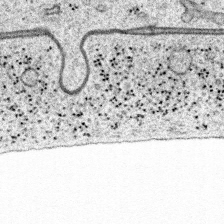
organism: Human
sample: HeLa cells